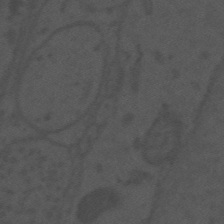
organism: Mouse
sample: Suprachiasmatic nucleus